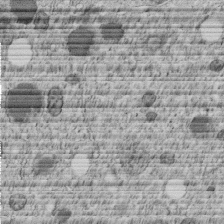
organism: C. elegans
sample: C. elegans embryo early stage